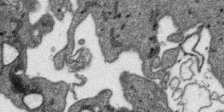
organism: Human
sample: Lung epithelial cells infected with SARS-CoV-2